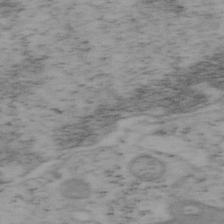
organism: Mouse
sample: OT-I killer T cells with ID8 ovarian cancer cells